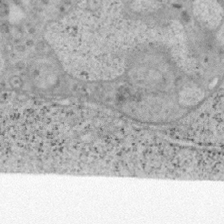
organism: Mouse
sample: OT-I killer T cells with ID8 ovarian cancer cells